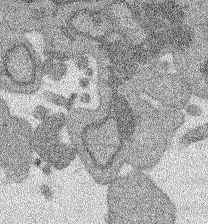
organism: Human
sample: HeLa cells